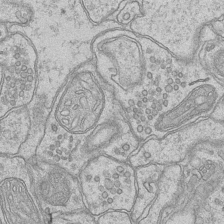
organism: Mouse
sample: CA1 Hippocampus